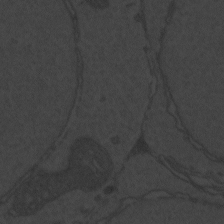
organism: Zebrafish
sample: Macrophage infected with Toxoplasma gondii